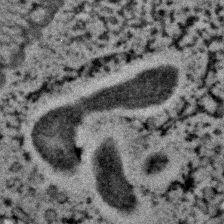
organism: C. elegans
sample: C. elegans embryo